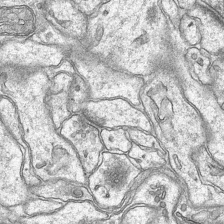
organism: Mouse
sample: CA1 Hippocampus